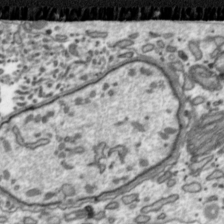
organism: Toxoplasma gondii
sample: Parasites in a vacuole inside a host cell